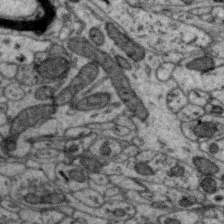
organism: Zebra finch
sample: Brain